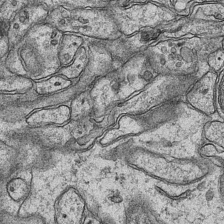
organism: Mouse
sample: CA1 Hippocampus